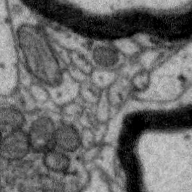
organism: Zebra finch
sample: Brain